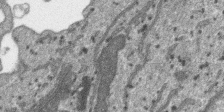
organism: Human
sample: Lung epithelial cells infected with SARS-CoV-2